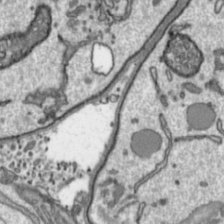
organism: Toxoplasma gondii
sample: Parasites in a vacuole inside a host cell